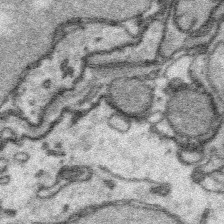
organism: Platynereis dumerilii